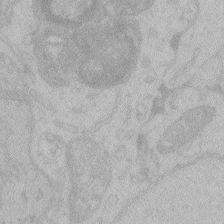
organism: Zebrafish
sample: Macrophage infected with Toxoplasma gondii